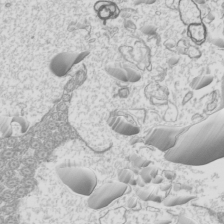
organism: Mouse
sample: Cilia; mouse epididymis